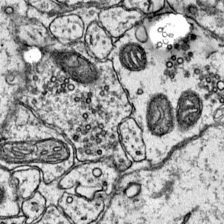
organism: Mouse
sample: Primary visual cortex